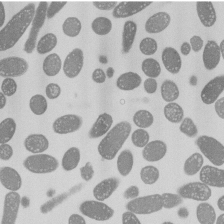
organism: E. coli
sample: Bacterial nucleoid